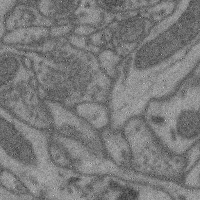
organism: Mouse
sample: Cerebral cortex